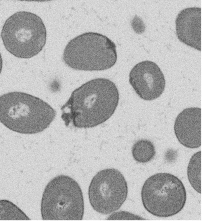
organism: B. subtilis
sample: Bacterial spore